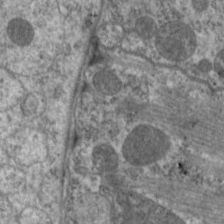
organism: C. elegans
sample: Pharynx